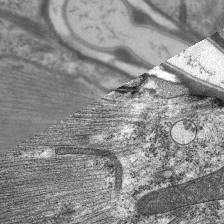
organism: C. elegans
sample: Pharynx